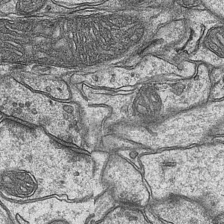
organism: Mouse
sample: CA1 Hippocampus